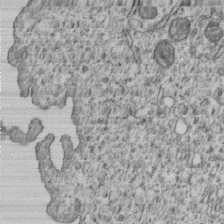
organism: Human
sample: MDA-MB-231 cells